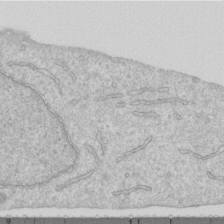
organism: Human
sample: Centriole in RPE cells